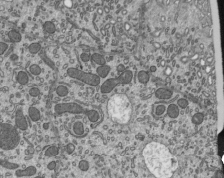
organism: Mouse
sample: Mouse epididymis efferent ductule cilia